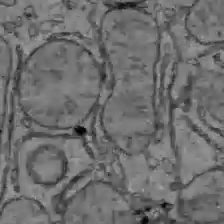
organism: C57BL Mouse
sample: Liver